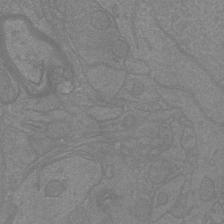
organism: Mouse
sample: Cortical neurons